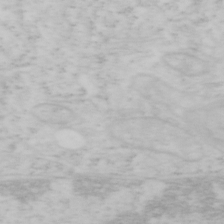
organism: Mouse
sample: OT-I killer T cells with ID8 ovarian cancer cells